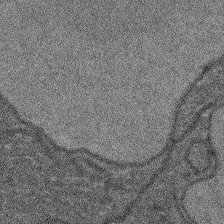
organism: Arabidopsis thaliana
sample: Root tip